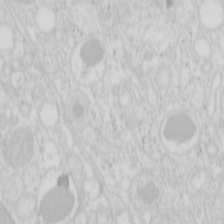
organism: Mouse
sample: Pancreas